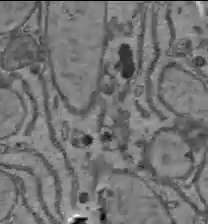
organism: C57BL Mouse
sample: Liver